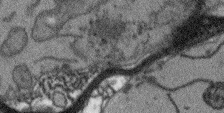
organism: Arabidopsis thaliana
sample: Root tip